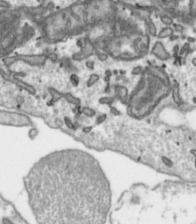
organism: Toxoplasma gondii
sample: Parasites in a vacuole inside a host cell